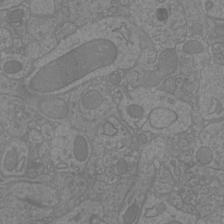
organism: Mouse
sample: Cortical neurons